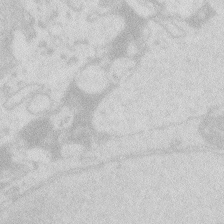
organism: Zebrafish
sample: Macrophage